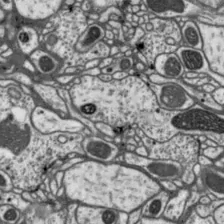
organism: Drosophila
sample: Protocerebral bridge